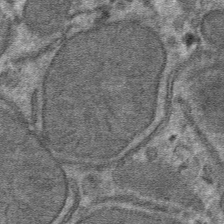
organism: Mouse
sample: Mouse hepatocytes